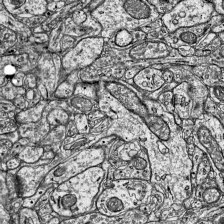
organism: Mouse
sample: Visual Cortex